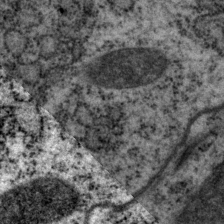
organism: P. pacificus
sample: Pharynx